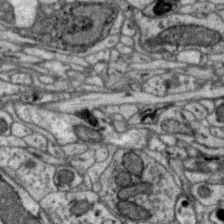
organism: Zebra finch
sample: Brain